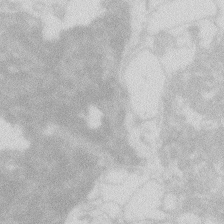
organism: Zebrafish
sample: Macrophage